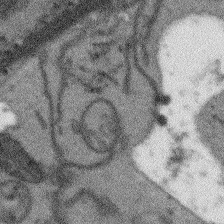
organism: Arabidopsis thaliana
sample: Root tip